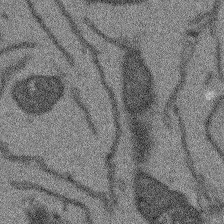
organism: Arabidopsis thaliana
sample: Root tip